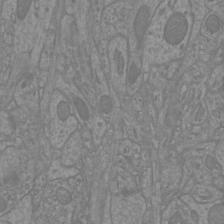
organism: Mouse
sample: Cortical neurons